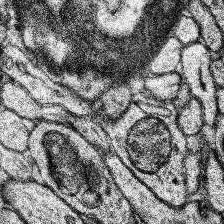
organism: Human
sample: Temporal Lobe